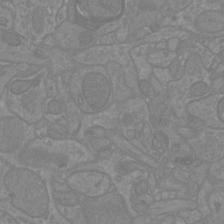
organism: Mouse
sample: Cortical neurons